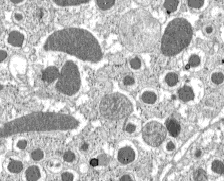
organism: C57BL Mouse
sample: Pancreatic islet